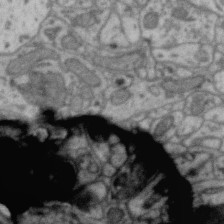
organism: Zebra finch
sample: Brain